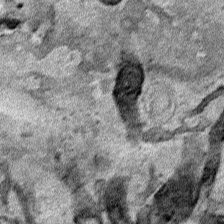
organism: Human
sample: Mitochondria in HCT116 cells